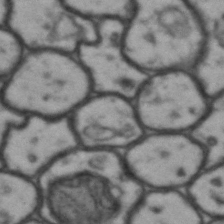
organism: Drosophila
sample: Brain